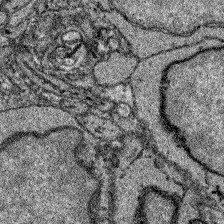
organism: Zebrafish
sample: Larval olfactory bulb